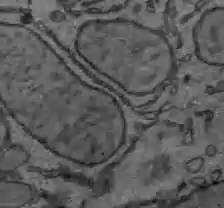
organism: C57BL Mouse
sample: Liver